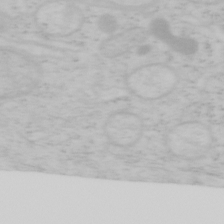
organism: Mouse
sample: OT-I killer T cells with ID8 ovarian cancer cells